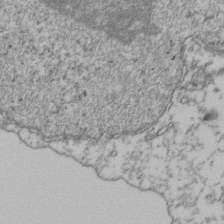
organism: Human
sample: Activated Jurkat CD4+ T cells